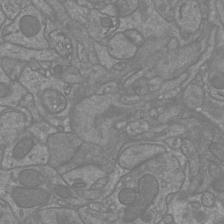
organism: Mouse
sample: Cortical neurons